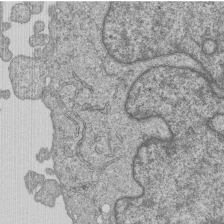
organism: Human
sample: MDA-MB-231 cells